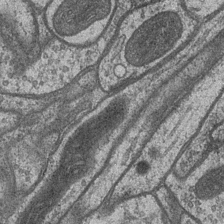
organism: Drosophila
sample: Optic medulla